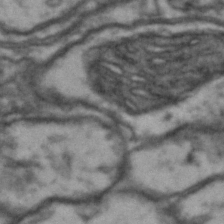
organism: Drosophila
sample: Brain